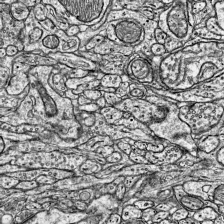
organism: Mouse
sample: Visual Cortex